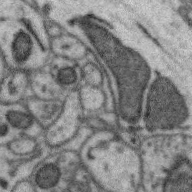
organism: Zebra finch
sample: Brain